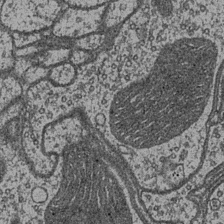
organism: Drosophila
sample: Optic medulla